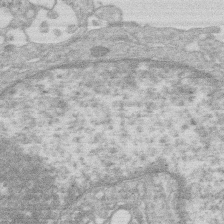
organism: Human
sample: Macrophage cells